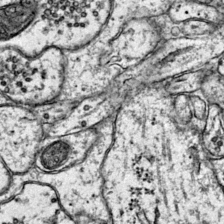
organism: Mouse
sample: Primary visual cortex